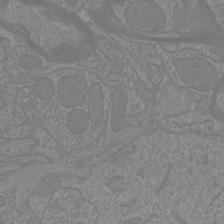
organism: Mouse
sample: Cortical neurons